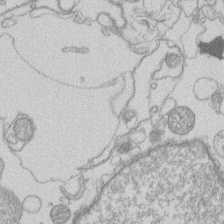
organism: Human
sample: Macrophage cells